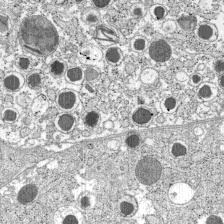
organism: C57BL Mouse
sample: Pancreatic islet